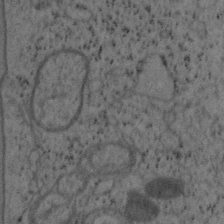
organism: Human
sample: HeLa cells